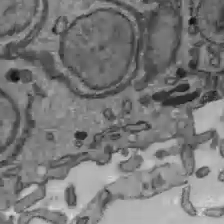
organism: C57BL Mouse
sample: Liver